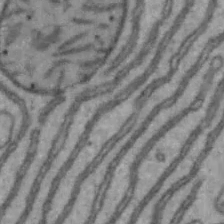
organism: Mouse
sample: Liver